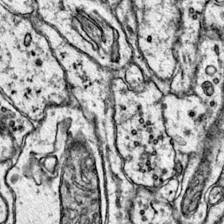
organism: Mouse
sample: Primary visual cortex